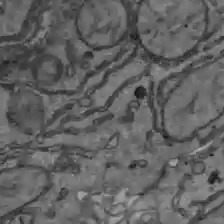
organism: C57BL Mouse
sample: Liver